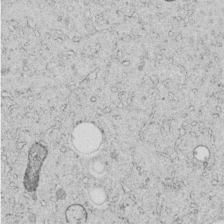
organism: C. elegans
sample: C. elegans embryo early stage